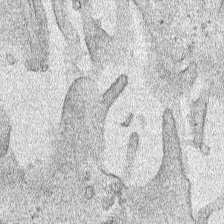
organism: Human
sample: Mitochondria in HCT116 cells